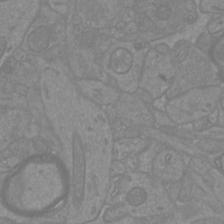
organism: Mouse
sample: Cortical neurons